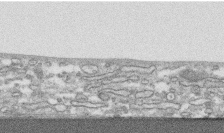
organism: Human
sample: CRL-1474